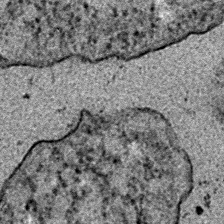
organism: E. coli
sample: E. Coli Bacteria